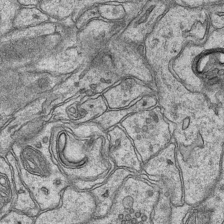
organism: Mouse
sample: CA1 Hippocampus